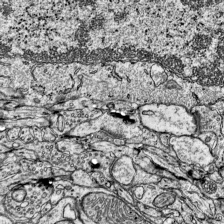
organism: Mouse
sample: Visual Cortex